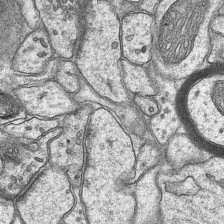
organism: Mouse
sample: CA1 Hippocampus